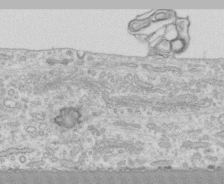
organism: Human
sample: CRL-1474